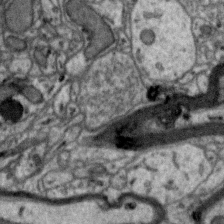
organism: Zebra finch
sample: Brain